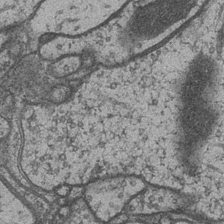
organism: Drosophila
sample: Optic medulla